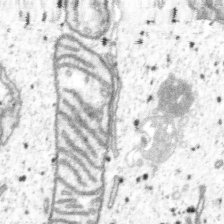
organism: Human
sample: HeLa cells